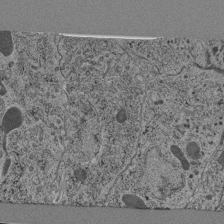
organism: C. elegans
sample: C. elegans pharynx